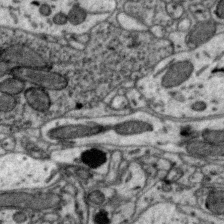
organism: Zebra finch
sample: Brain